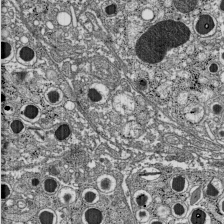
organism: C57BL Mouse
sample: Pancreatic islet